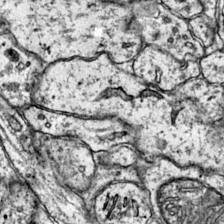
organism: Mouse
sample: Primary visual cortex